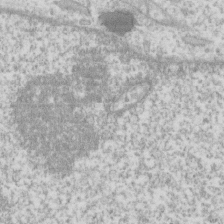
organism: Human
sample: Fibroblast cells